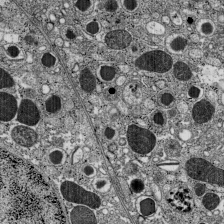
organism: C57BL Mouse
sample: Pancreatic islet